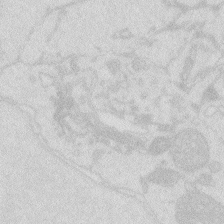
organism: Zebrafish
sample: Macrophage